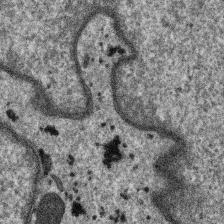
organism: Human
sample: Lung epithelial cells infected with SARS-CoV-2